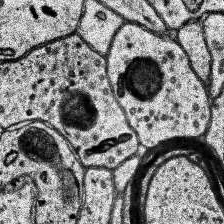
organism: Human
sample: Temporal Lobe